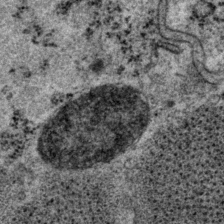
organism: P. pacificus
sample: Pharynx